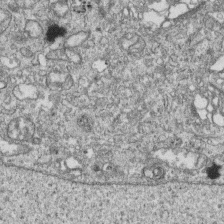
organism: Human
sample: HeLa cell HIV synapse